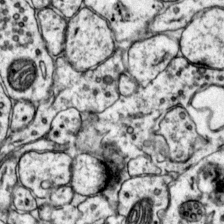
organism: Mouse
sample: Primary visual cortex